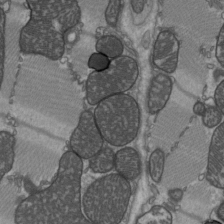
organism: C57BL Mouse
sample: Heart